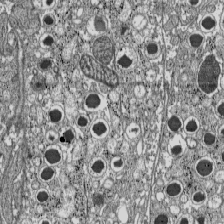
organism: C57BL Mouse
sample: Pancreatic islet